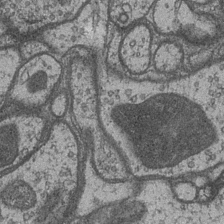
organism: Drosophila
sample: Optic medulla